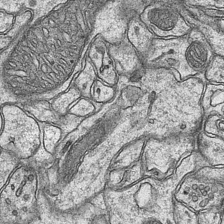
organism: Mouse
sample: CA1 Hippocampus